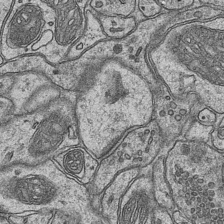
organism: Mouse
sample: CA1 Hippocampus